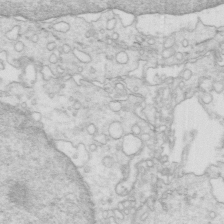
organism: Mouse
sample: Multiciliated cells